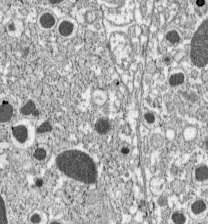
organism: C57BL Mouse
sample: Pancreatic islet